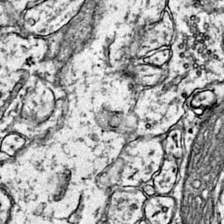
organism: Mouse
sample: Primary visual cortex